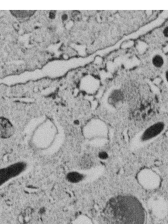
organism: C. elegans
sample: C. elegans embryo early stage